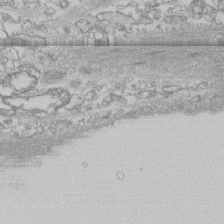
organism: Human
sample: CRL-1474